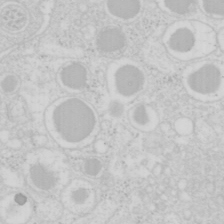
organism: Mouse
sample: Pancreas